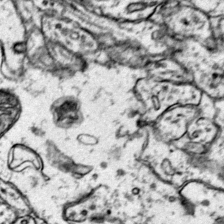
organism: Mouse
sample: Primary visual cortex